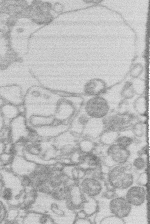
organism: Human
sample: Macrophage cells